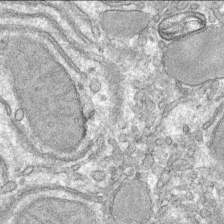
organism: Mouse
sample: Mouse hepatocytes